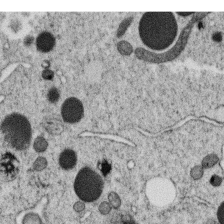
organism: C. elegans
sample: C. elegans oocyte; sperm cells